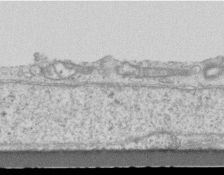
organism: Mouse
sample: Centriole in ependymal cells